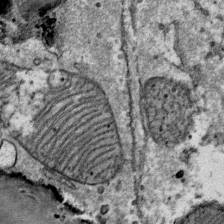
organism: Mouse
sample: Mouse Salivary gland